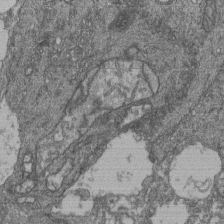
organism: Human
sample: Retinal organoid Rod and Cone cells